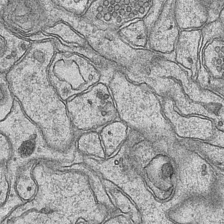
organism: Mouse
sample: CA1 Hippocampus